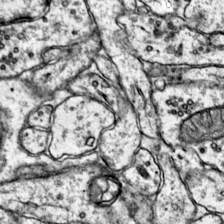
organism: Mouse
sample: Primary visual cortex